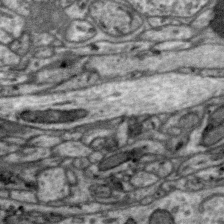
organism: Zebra finch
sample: Brain